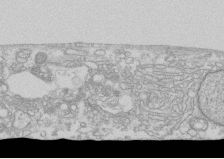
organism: Human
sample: CRL-1474